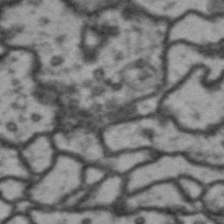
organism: Drosophila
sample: Brain